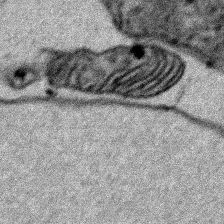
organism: Human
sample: Mitochondria in HCT116 cells